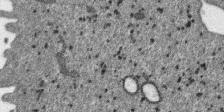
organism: Human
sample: Lung epithelial cells infected with SARS-CoV-2